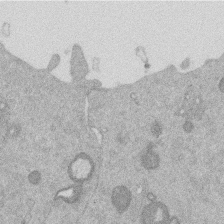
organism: Mouse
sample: Dividing mouse embryo 1 cell stage